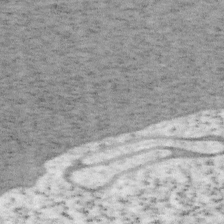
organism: Mouse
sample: OT-I killer T cells with ID8 ovarian cancer cells